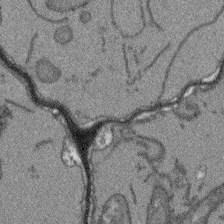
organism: Arabidopsis thaliana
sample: Root tip